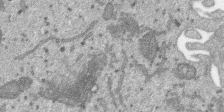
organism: Human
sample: Lung epithelial cells infected with SARS-CoV-2